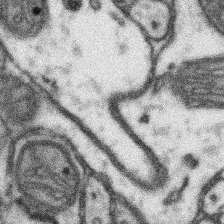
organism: Mouse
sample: Somatosensory cortex neuropil